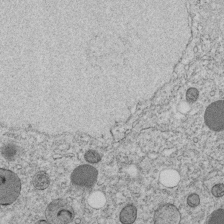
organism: C. elegans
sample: C. elegans embryo early stage